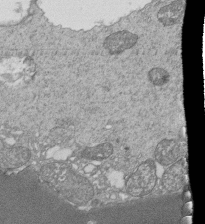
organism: Tetrahymena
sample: Cilia in tetrahymena